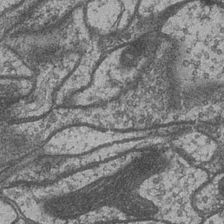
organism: Drosophila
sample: Optic medulla